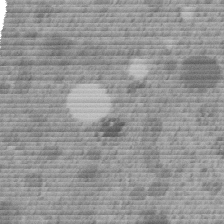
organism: C. elegans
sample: C. elegans embryo early stage